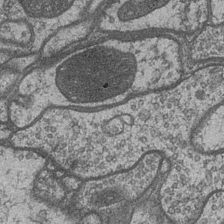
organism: Drosophila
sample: Optic medulla